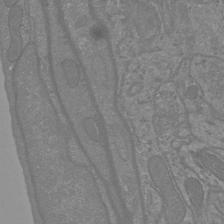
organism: Mouse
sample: Cortical neurons